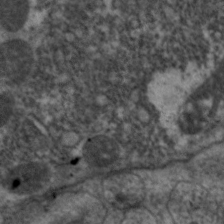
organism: C. elegans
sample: Pharynx